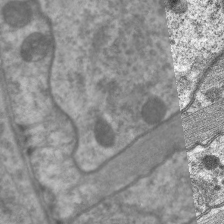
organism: C. elegans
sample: Pharynx